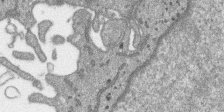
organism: Human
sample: Lung epithelial cells infected with SARS-CoV-2